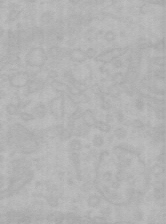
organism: Mouse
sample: Choroid plexus